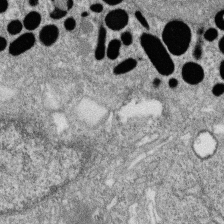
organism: Zebrafish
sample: Cilia; retinal pigment epithelium